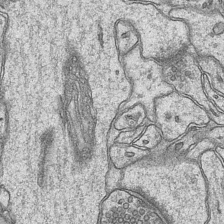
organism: Mouse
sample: CA1 Hippocampus